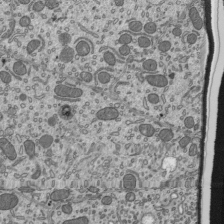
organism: Mouse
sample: Mouse epididymis efferent ductule cilia